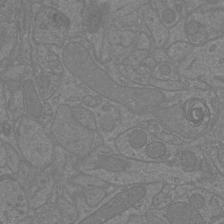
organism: Mouse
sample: Cortical neurons